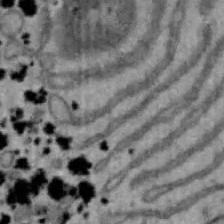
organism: Mouse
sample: Liver